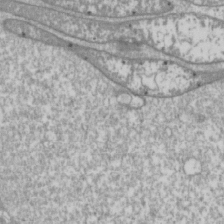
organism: Drosophila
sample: Cell division; meiosis; drosophila spermatocytes